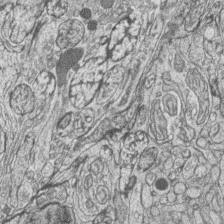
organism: Zebrafish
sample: synaptic ribbons in rod cells and cone cells